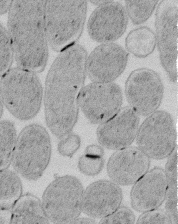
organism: E. coli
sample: Bacterial nucleoid